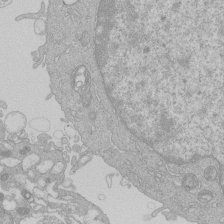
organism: Human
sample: Macrophage cells